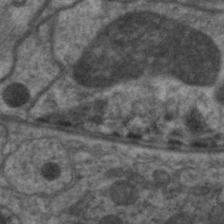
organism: C. elegans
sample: Pharynx